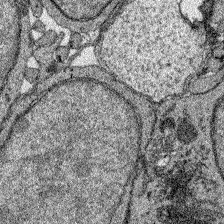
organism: Zebrafish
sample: Larval olfactory bulb